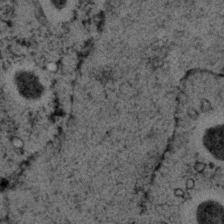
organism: C. elegans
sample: C. elegans embryo